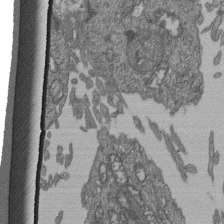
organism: Human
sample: Retinal organoid Rod and Cone cells